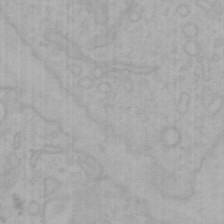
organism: Mouse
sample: Choroid plexus